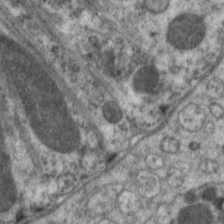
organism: C. elegans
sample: Pharynx